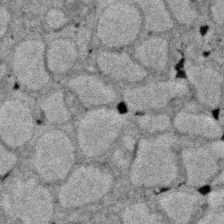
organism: Zebrafish